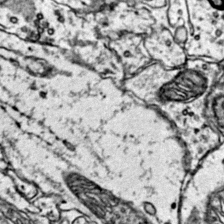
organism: Mouse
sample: Primary visual cortex